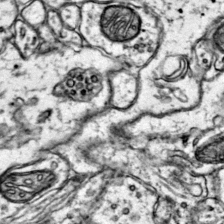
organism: Mouse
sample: Primary visual cortex